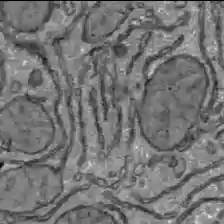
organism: C57BL Mouse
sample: Liver